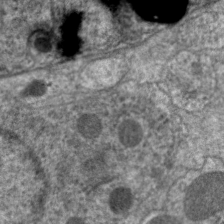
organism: C. elegans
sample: Pharynx